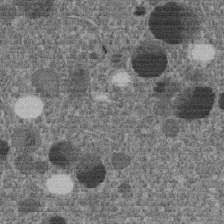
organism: C. elegans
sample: C. elegans embryo early stage